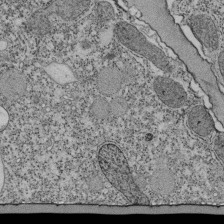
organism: Tetrahymena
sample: Cilia in tetrahymena